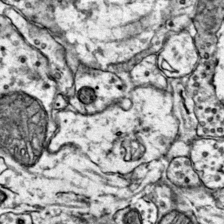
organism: Mouse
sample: Primary visual cortex